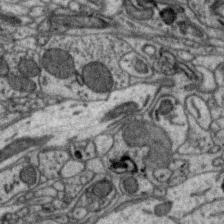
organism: Zebra finch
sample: Brain